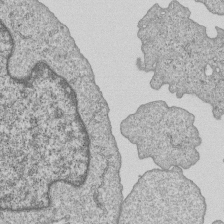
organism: Human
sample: MDA-MB-231 cells